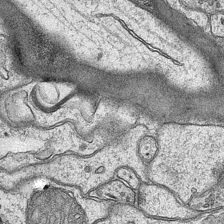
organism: Mouse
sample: CA1 Hippocampus